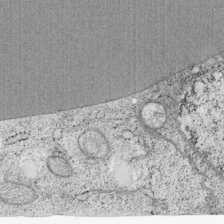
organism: African green monkey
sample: COS-7 cells